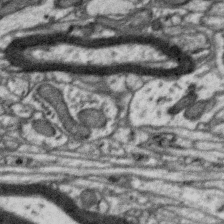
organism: Zebra finch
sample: Brain